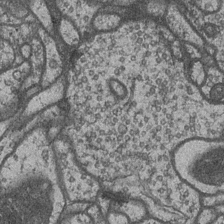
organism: Drosophila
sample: Optic medulla